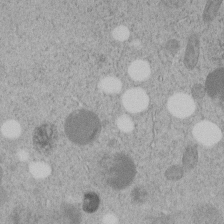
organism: C. elegans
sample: C. elegans embryo early stage